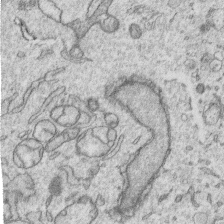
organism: Human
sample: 1205lu cells